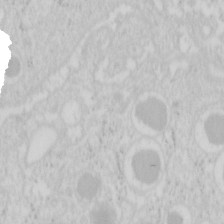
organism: Mouse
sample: Pancreas